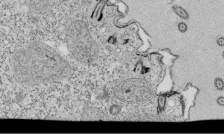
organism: Tetrahymena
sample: Cilia in tetrahymena